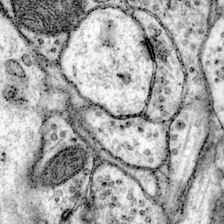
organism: Mouse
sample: Primary visual cortex